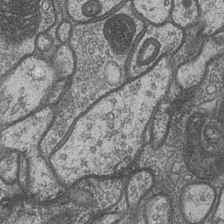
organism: Drosophila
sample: Optic medulla